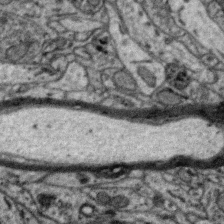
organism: Zebra finch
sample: Brain